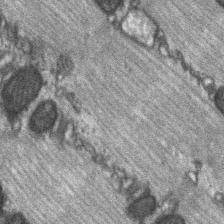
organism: C57BL Mouse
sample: Soleus